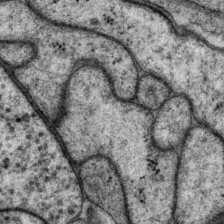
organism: P. pacificus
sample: Pharynx